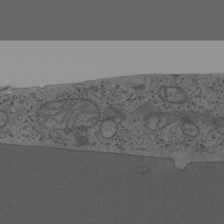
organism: Human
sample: HeLa cells